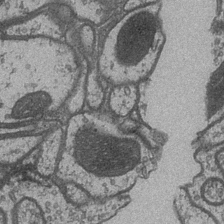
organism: Drosophila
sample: Optic medulla